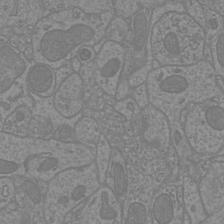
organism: Mouse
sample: Cortical neurons